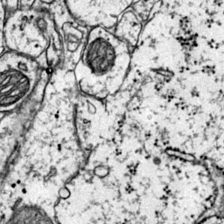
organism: Mouse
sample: Primary visual cortex